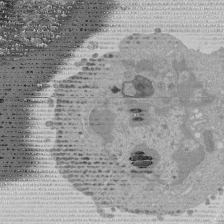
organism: Mouse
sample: Activated Pmel transgenic CD8+ T Cells